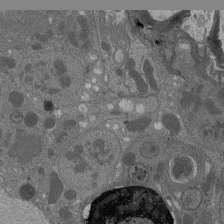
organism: Drosophila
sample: Antenna